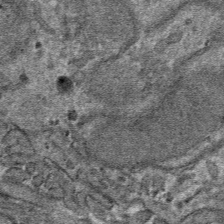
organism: Mouse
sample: Mouse hepatocytes